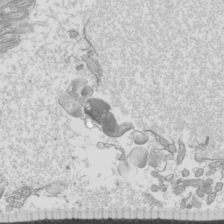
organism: Mouse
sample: Cilia; mouse epididymis